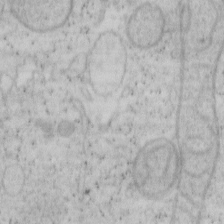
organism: Human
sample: HeLa cells